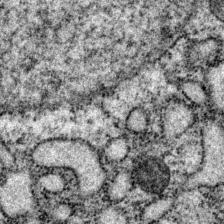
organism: P. pacificus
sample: Pharynx